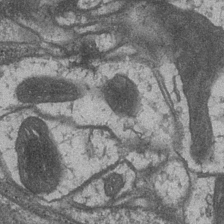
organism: Drosophila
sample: Optic medulla